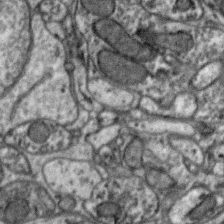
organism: Zebra finch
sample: Brain